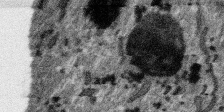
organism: Human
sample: Lung epithelial cells infected with SARS-CoV-2